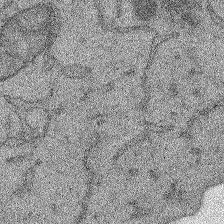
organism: Human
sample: HeLa cells